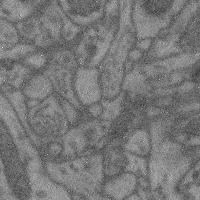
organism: Mouse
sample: Cerebral cortex